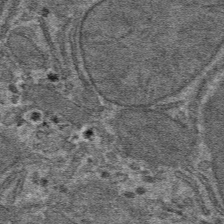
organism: Mouse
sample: Mouse hepatocytes